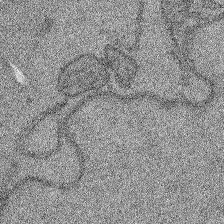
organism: Human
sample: HeLa cells